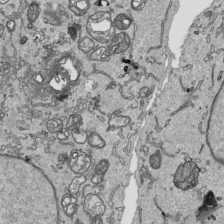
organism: Human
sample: Mitochondria in HCT116 cells